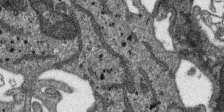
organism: Human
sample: Lung epithelial cells infected with SARS-CoV-2